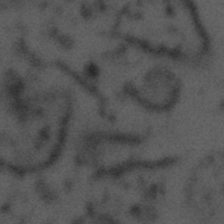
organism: Tuwongella immobilis